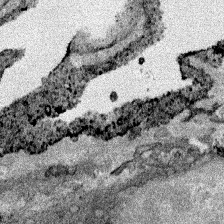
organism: Human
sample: Mitochondria in HCT116 cells